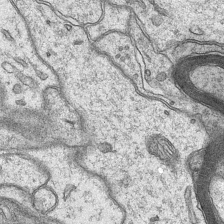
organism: Mouse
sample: CA1 Hippocampus